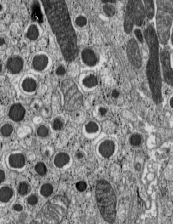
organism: C57BL Mouse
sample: Pancreatic islet